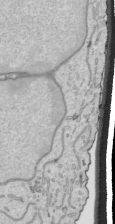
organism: Human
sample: Mitochondria in HCT116 cells